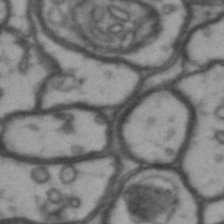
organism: Drosophila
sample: Brain